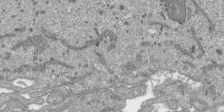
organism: Human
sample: Lung epithelial cells infected with SARS-CoV-2